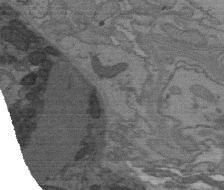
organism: C. elegans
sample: AFD neurons C. elegans